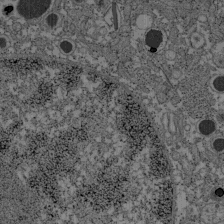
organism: C57BL Mouse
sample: Pancreatic islet